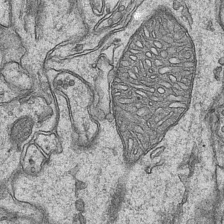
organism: Mouse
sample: CA1 Hippocampus